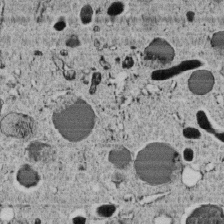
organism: C. elegans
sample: C. elegans embryo early stage